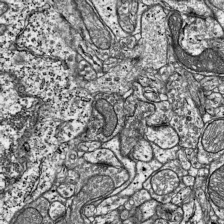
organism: Mouse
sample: Visual Cortex